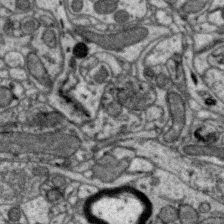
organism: Zebra finch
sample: Brain